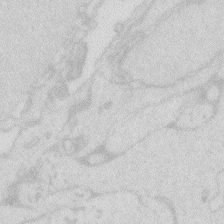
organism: Zebrafish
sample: Macrophage